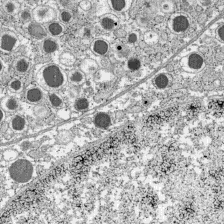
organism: C57BL Mouse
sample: Pancreatic islet